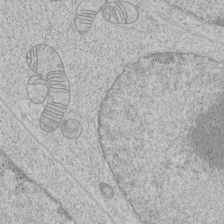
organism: Human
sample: Mitochondria in HCT116 cells